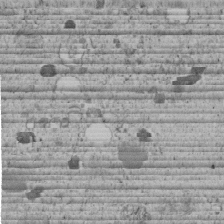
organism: C. elegans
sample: C. elegans embryo early stage